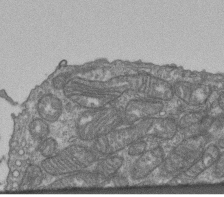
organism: Human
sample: Retinal organoid Rod and Cone cells